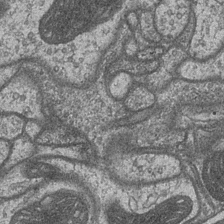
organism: Drosophila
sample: Optic medulla